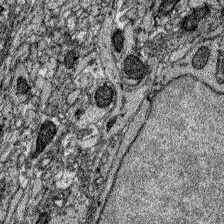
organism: Zebrafish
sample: Larval olfactory bulb